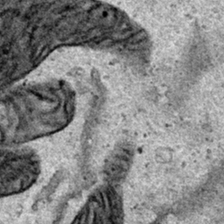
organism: Human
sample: Mitochondria in HCT116 cells